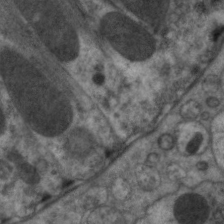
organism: C. elegans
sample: Pharynx